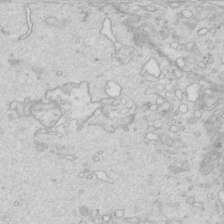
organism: Mouse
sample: Multiciliated cells